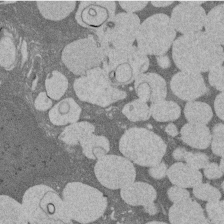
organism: Rat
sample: Salivary granule